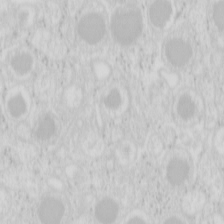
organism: Mouse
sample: Pancreas